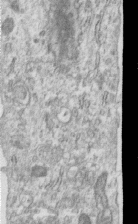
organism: Human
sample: Centriole in RPE cells